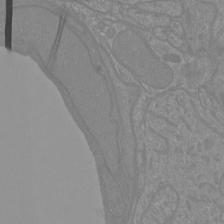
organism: Mouse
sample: Cortical neurons